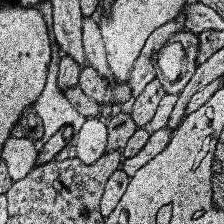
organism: Human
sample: Temporal Lobe